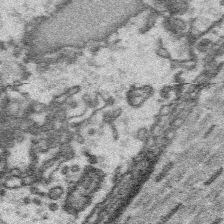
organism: Platynereis dumerilii